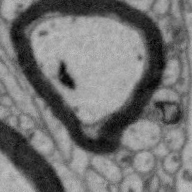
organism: Zebra finch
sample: Brain